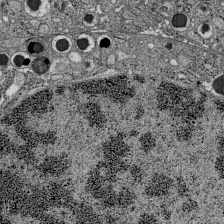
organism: C57BL Mouse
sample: Pancreatic islet